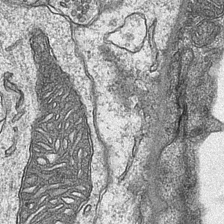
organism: Mouse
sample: CA1 Hippocampus